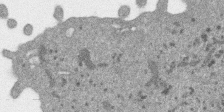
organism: Human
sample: Lung epithelial cells infected with SARS-CoV-2